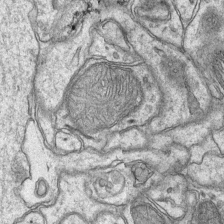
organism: Mouse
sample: CA1 Hippocampus